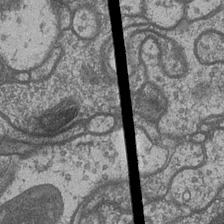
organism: Drosophila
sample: Optic medulla